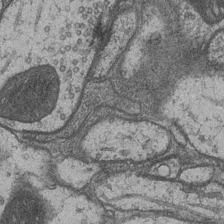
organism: Drosophila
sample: Optic medulla